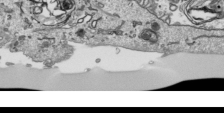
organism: Human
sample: Mitochondria in HCT116 cells